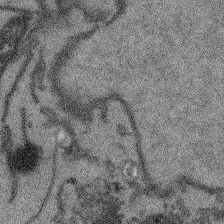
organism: Arabidopsis thaliana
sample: Root tip